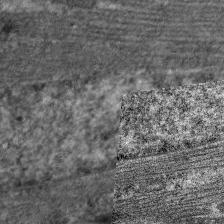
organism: C. elegans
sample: Pharynx